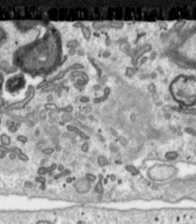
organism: Toxoplasma gondii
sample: Parasites in a vacuole inside a host cell